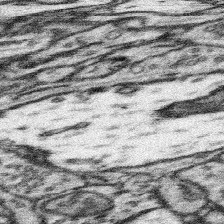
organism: Mouse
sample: Somatosensory cortex neuropil